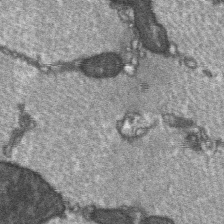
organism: C57BL Mouse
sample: Soleus